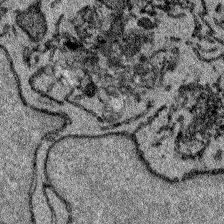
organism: Zebrafish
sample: Larval olfactory bulb